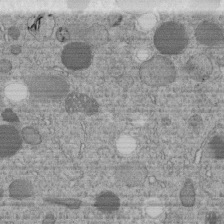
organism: C. elegans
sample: C. elegans embryo early stage